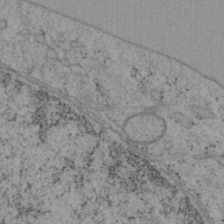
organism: Human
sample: HeLa cells